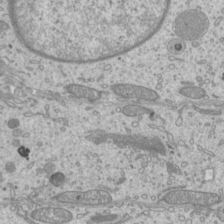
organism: Mouse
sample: Cilia; mouse epididymis